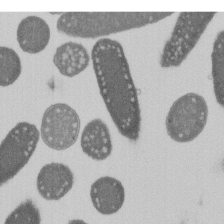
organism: E. coli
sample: Bacterial nucleoid